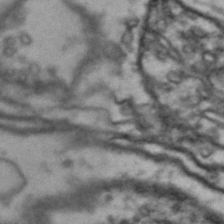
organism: Drosophila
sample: Brain